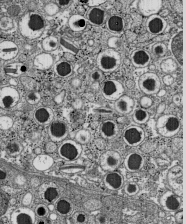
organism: C57BL Mouse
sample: Pancreatic islet